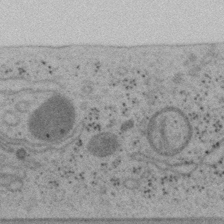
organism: Human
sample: HeLa cells